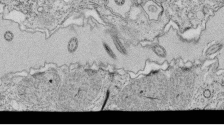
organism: Tetrahymena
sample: Cilia in tetrahymena